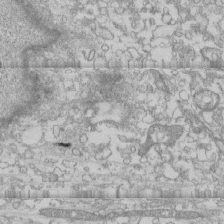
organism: Human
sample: CRL-1474